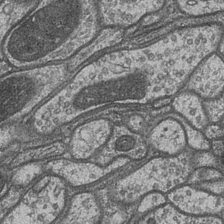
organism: Drosophila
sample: Optic medulla